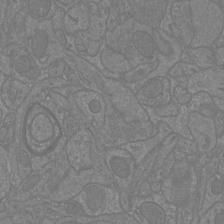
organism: Mouse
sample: Cortical neurons